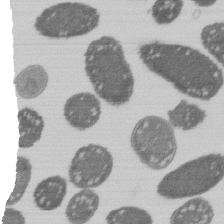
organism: E. coli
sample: Bacterial nucleoid